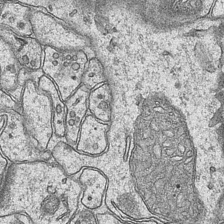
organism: Mouse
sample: CA1 Hippocampus